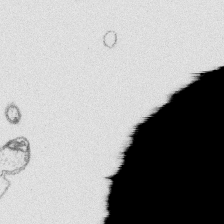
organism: Platynereis dumerilii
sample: Parapodia